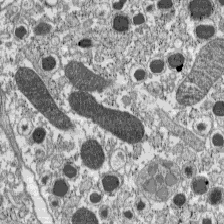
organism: C57BL Mouse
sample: Pancreatic islet